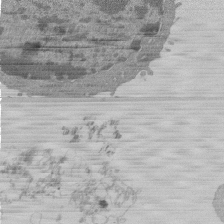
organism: Mouse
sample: Activated Pmel transgenic CD8+ T Cells